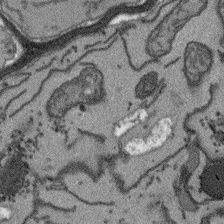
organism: Arabidopsis thaliana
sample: Root tip